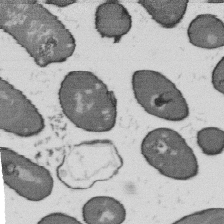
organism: B. subtilis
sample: Bacterial spore